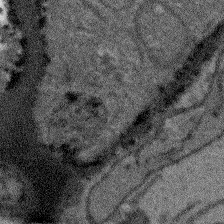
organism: Arabidopsis thaliana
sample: Root tip